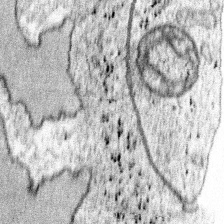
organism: Human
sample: HeLa cells